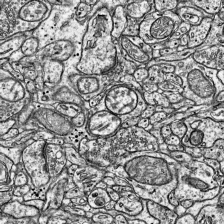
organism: Mouse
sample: Visual Cortex